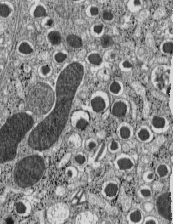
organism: C57BL Mouse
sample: Pancreatic islet